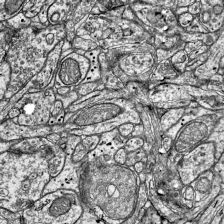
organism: Mouse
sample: Visual Cortex